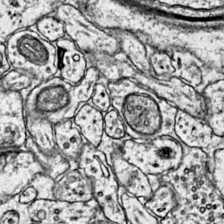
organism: Mouse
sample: Primary visual cortex